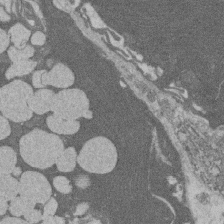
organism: Rat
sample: Salivary granule